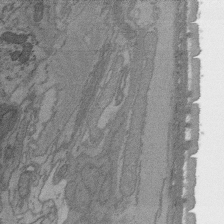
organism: C. elegans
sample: AFD neurons C. elegans